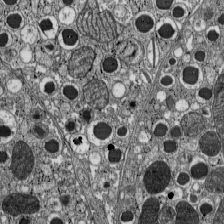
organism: C57BL Mouse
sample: Pancreatic islet